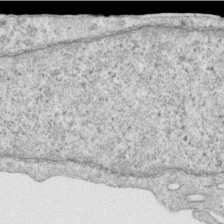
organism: Human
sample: Centriole in RPE cells